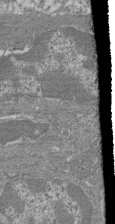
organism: Mouse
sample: Glomerulus